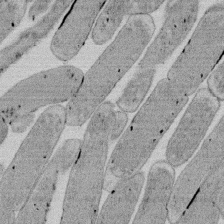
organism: E. coli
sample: Bacterial nucleoid